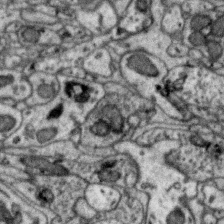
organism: Zebra finch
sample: Brain